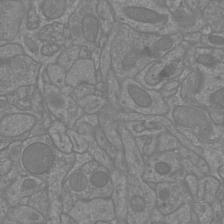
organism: Mouse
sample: Cortical neurons